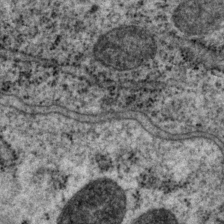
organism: P. pacificus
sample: Pharynx